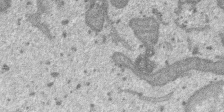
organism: Human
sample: Lung epithelial cells infected with SARS-CoV-2